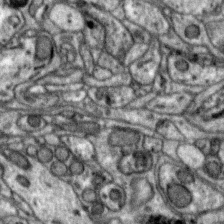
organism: Zebra finch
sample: Brain